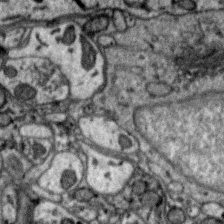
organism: Zebra finch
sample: Brain